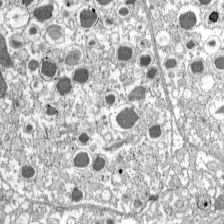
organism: C57BL Mouse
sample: Pancreatic islet